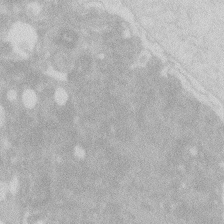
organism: Zebrafish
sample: Macrophage